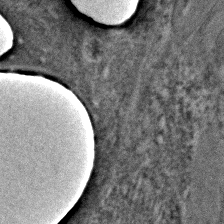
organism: C. elegans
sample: C. elegans embryo